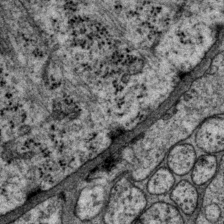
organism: P. pacificus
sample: Pharynx